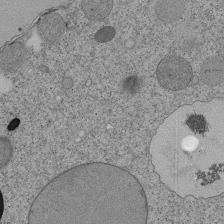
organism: Tetrahymena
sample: Cilia in tetrahymena